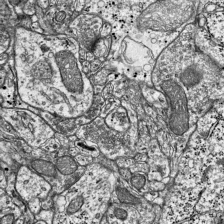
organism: Mouse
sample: Visual Cortex